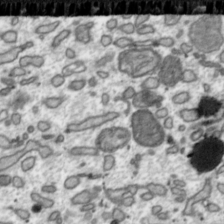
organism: Toxoplasma gondii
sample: Parasites in a vacuole inside a host cell